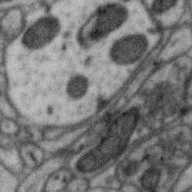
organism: Zebra finch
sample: Brain